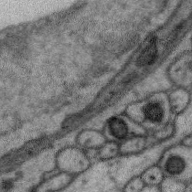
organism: Zebra finch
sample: Brain